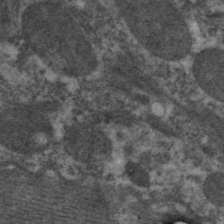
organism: C. elegans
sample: Pharynx